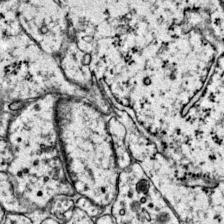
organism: Mouse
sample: Primary visual cortex